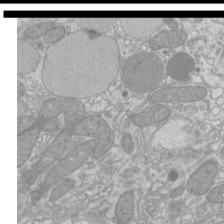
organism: Mouse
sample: Cilia; mouse epididymis